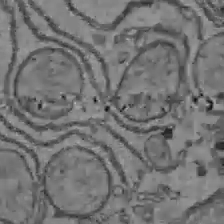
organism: C57BL Mouse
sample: Liver